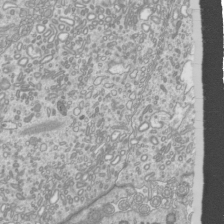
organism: Mouse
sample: Cilia; mouse epididymis